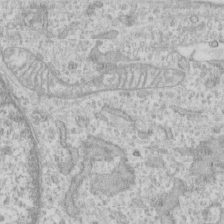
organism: Human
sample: CRL-1474